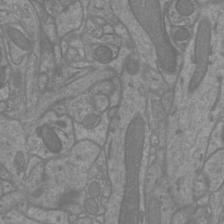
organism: Mouse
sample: Cortical neurons